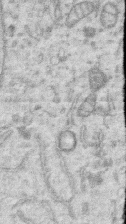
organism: Human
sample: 1205lu cells